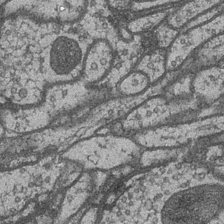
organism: Drosophila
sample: Optic medulla